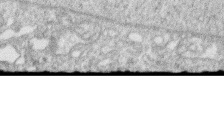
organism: Human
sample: HeLa cell HIV synapse